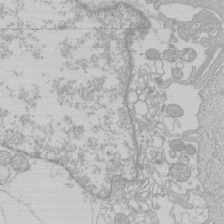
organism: Human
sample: Macrophage cells